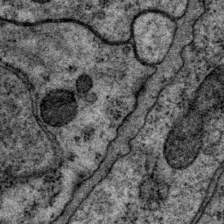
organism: P. pacificus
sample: Pharynx